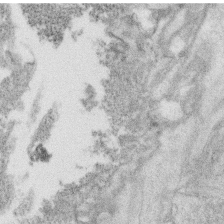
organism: C. elegans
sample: C. elegans oocyte; sperm cells